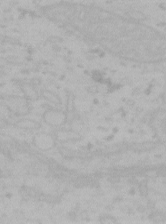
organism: Mouse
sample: Choroid plexus